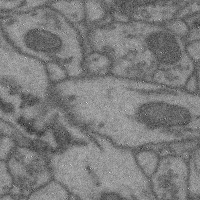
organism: Mouse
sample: Cerebral cortex